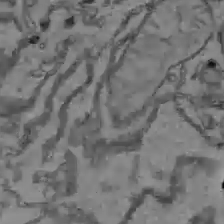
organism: C57BL Mouse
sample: Liver